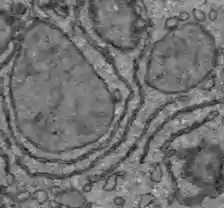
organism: C57BL Mouse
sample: Liver